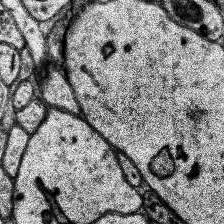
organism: Human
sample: Temporal Lobe